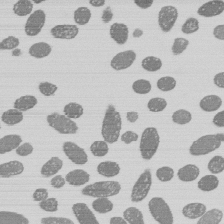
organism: E. coli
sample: Bacterial nucleoid